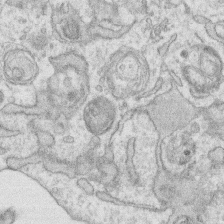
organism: Human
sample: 1205lu cells